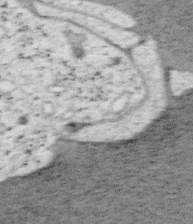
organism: Mouse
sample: OT-I killer T cells with ID8 ovarian cancer cells